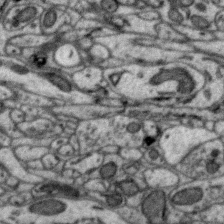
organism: Zebra finch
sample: Brain